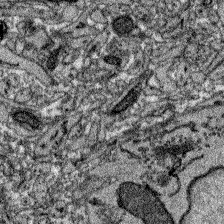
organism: Zebrafish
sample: Larval olfactory bulb